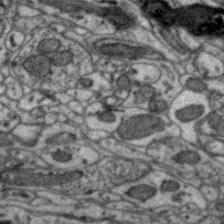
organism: Zebra finch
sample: Brain